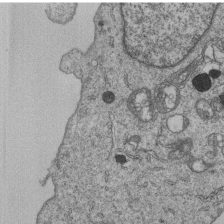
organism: Human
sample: MDA-MB-231 cells